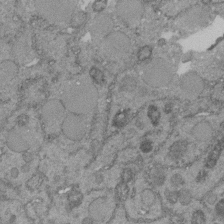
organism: C. elegans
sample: C. elegans embryo early stage